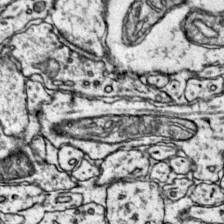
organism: Mouse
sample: Primary visual cortex